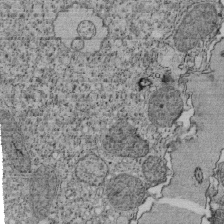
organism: Tetrahymena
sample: Cilia in tetrahymena